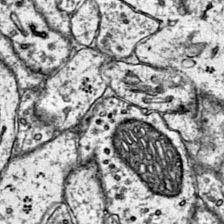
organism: Mouse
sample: Primary visual cortex